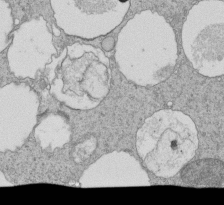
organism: Tetrahymena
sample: Cilia in tetrahymena